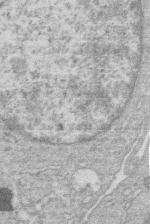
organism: Human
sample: Macrophage cells